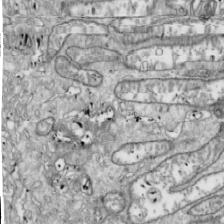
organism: Drosophila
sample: Cell division; meiosis; drosophila spermatocytes